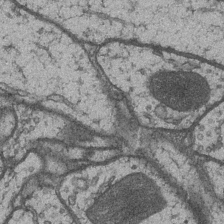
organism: Drosophila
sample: Optic medulla